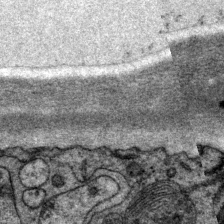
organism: P. pacificus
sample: Pharynx